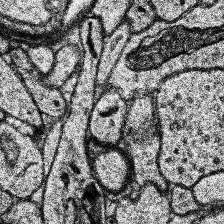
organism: Human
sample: Temporal Lobe